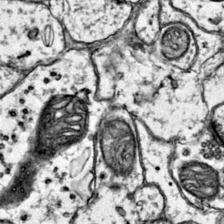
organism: Mouse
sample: Primary visual cortex